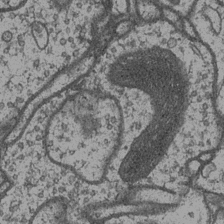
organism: Drosophila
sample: Optic medulla